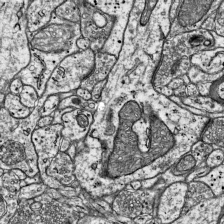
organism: Mouse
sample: Visual Cortex